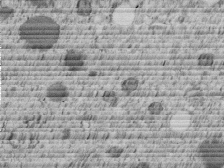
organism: C. elegans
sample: C. elegans embryo early stage